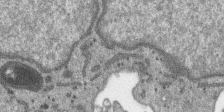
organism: Human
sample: Lung epithelial cells infected with SARS-CoV-2